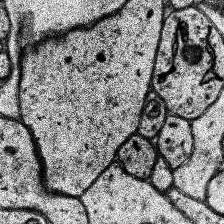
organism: Human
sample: Temporal Lobe